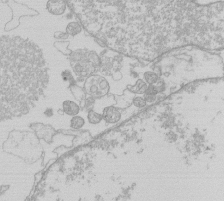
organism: Human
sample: Macrophage cells